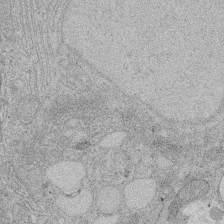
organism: Rat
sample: Salivary granule